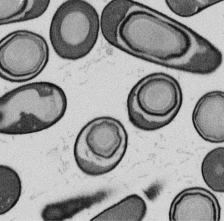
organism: B. subtilis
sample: Bacterial spore